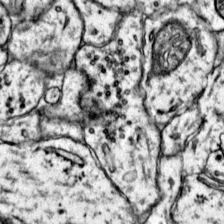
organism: Mouse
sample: Primary visual cortex